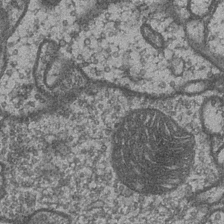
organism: Drosophila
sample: Optic medulla